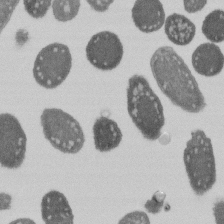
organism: E. coli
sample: Bacterial nucleoid